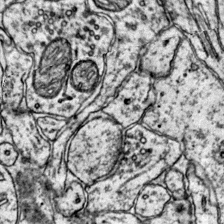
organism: Mouse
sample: Primary visual cortex